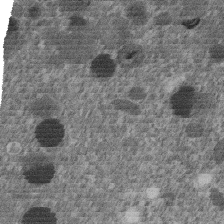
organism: C. elegans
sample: C. elegans embryo early stage